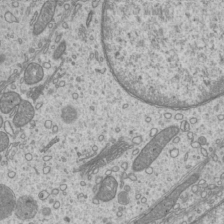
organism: Mouse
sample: Cilia; mouse epididymis